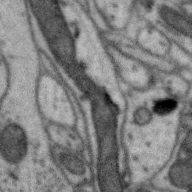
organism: Zebra finch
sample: Brain